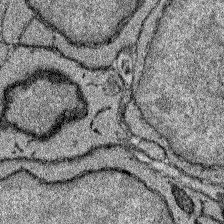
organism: Zebrafish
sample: Larval olfactory bulb